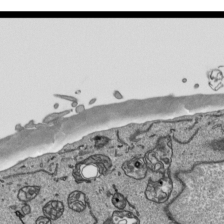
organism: Human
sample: Mitochondria in HCT116 cells